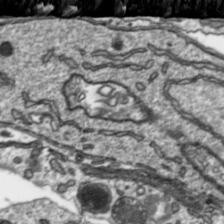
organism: Toxoplasma gondii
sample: Parasites in a vacuole inside a host cell